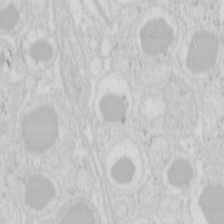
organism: Mouse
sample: Pancreas